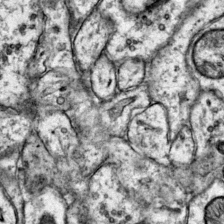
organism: Mouse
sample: Primary visual cortex